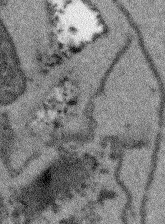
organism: Arabidopsis thaliana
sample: Root tip